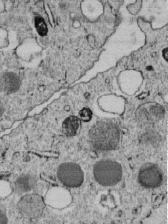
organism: C. elegans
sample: C. elegans embryo early stage